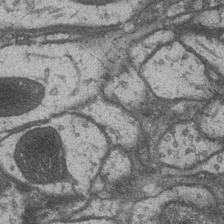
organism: Drosophila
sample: Optic medulla